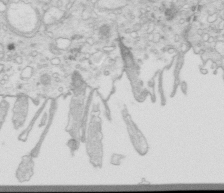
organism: Mouse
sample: Multiciliated cells